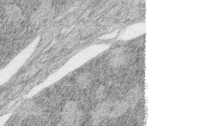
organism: Zebrafish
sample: synaptic ribbons in rod cells and cone cells